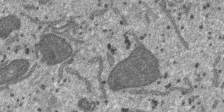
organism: Human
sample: Lung epithelial cells infected with SARS-CoV-2